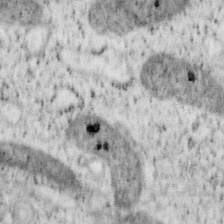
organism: Mouse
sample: OT-I killer T cells with ID8 ovarian cancer cells